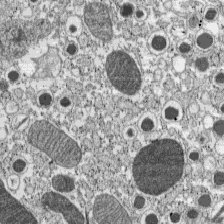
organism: C57BL Mouse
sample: Pancreatic islet